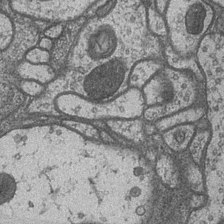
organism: Drosophila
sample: Optic medulla